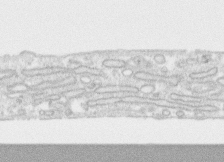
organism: Human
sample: CRL-1474